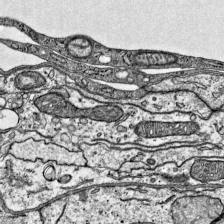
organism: Mouse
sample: Visual Cortex